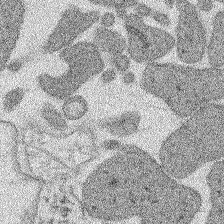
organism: Human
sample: HeLa cells